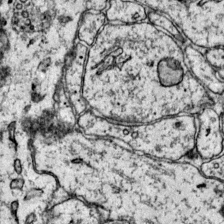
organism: Mouse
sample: Primary visual cortex